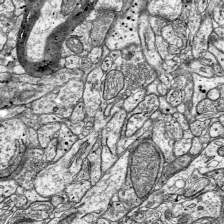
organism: Mouse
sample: Visual Cortex